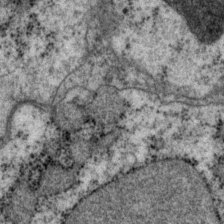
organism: P. pacificus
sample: Pharynx